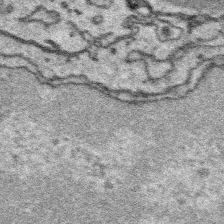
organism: Platynereis dumerilii